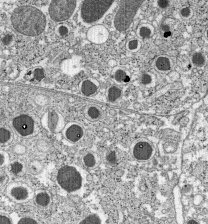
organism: C57BL Mouse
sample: Pancreatic islet